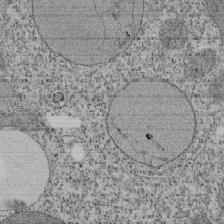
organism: Tetrahymena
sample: Cilia in tetrahymena